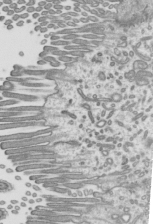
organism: Mouse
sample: Mouse epididymis efferent ductule cilia